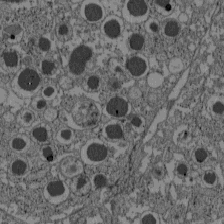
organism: C57BL Mouse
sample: Pancreatic islet